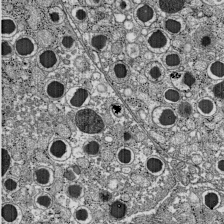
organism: C57BL Mouse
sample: Pancreatic islet